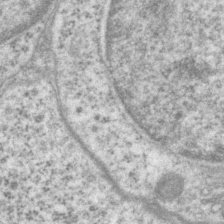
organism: P. pacificus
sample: Pharynx